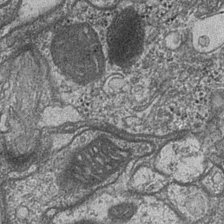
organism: Drosophila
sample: Optic medulla